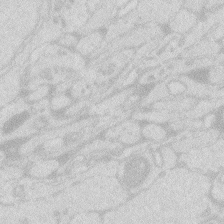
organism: Zebrafish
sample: Macrophage